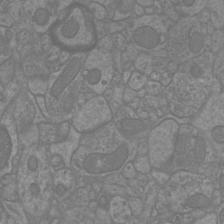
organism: Mouse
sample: Cortical neurons